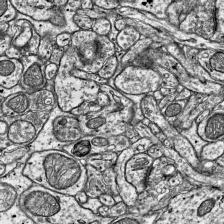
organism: Mouse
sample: Visual Cortex